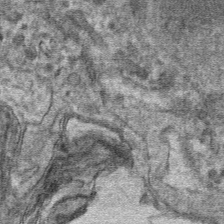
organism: Mouse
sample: Mouse hepatocytes